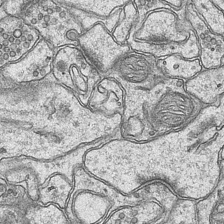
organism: Mouse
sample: CA1 Hippocampus